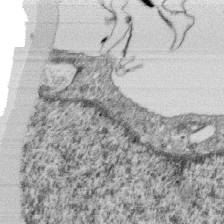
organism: African green monkey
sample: Vero E6 cells infected with SARS-CoV-2